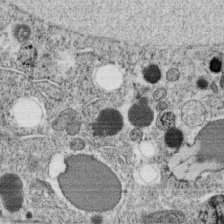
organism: C. elegans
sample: C. elegans oocyte; sperm cells